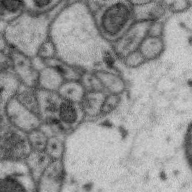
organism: Zebra finch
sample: Brain